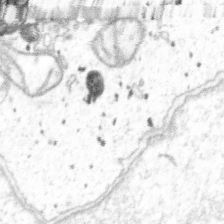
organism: Human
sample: HeLa cells